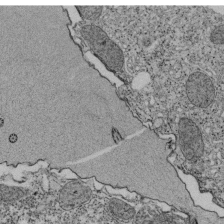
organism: Tetrahymena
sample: Cilia in tetrahymena